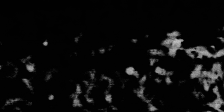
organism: Human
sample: Lung epithelial cells, uninfected (mock) control